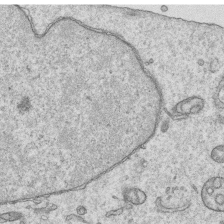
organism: Human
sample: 1205lu cells